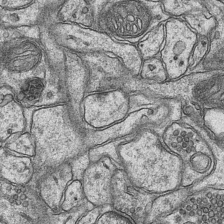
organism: Mouse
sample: CA1 Hippocampus